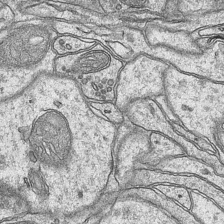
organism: Mouse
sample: CA1 Hippocampus